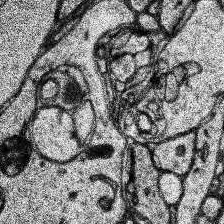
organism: Human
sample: Temporal Lobe